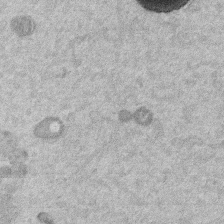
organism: Mouse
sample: Dividing mouse embryo 1 cell stage